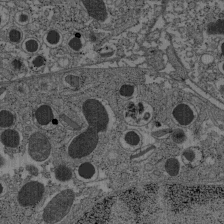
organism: C57BL Mouse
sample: Pancreatic islet